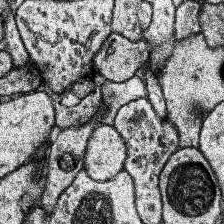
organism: Human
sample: Temporal Lobe